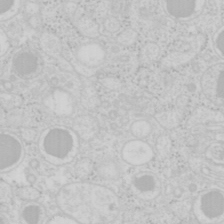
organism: Mouse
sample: Pancreas